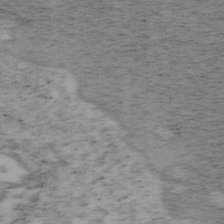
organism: Mouse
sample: OT-I killer T cells with ID8 ovarian cancer cells